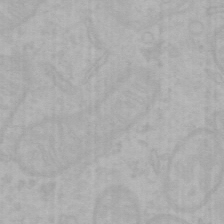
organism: Mouse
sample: Choroid plexus